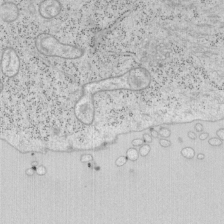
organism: Mouse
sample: OT-I killer T cells with ID8 ovarian cancer cells